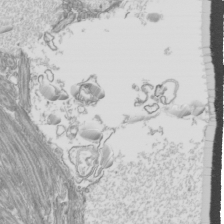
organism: Mouse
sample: Cilia; mouse epididymis